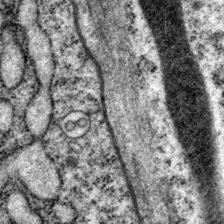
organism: P. pacificus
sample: Pharynx